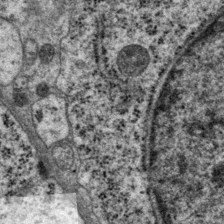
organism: P. pacificus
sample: Pharynx